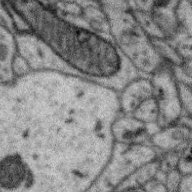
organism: Zebra finch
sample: Brain